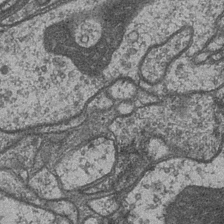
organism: Drosophila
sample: Optic medulla